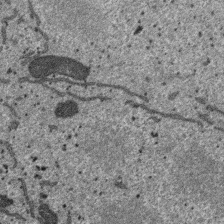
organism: Human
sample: Lung epithelial cells infected with SARS-CoV-2